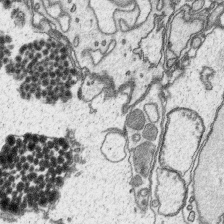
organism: Platynereis dumerilii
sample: Parapodia